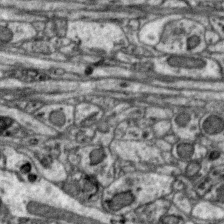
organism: Zebra finch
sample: Brain